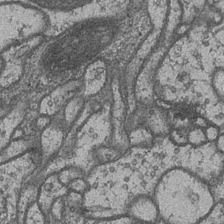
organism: Drosophila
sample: Optic medulla